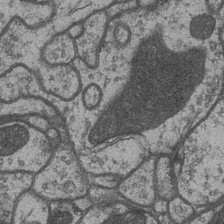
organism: Drosophila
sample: Optic medulla